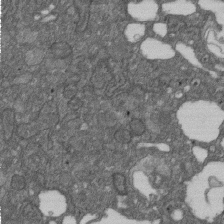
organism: Drosophila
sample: Nephrocyte